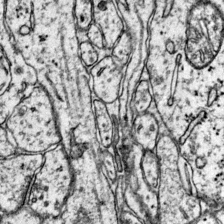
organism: Mouse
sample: Primary visual cortex